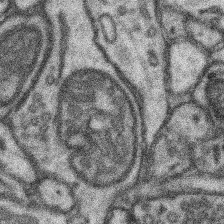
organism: Mouse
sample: Somatosensory cortex neuropil